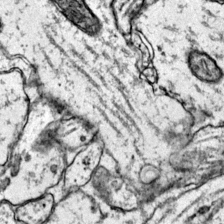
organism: Mouse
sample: Primary visual cortex